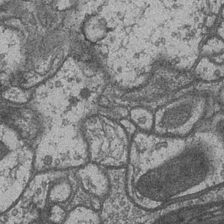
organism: Drosophila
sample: Optic medulla